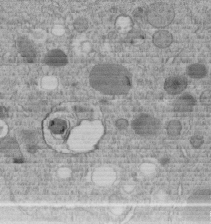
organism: C. elegans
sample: C. elegans embryo early stage